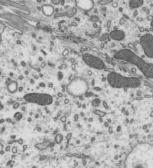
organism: Mouse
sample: Mouse epididymis efferent ductule cilia